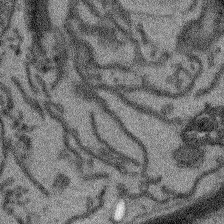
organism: Arabidopsis thaliana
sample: Root tip